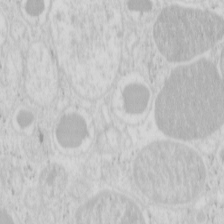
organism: Mouse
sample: Pancreas